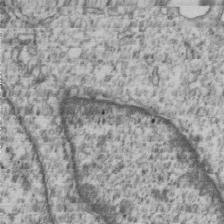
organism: Human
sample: MDA-MB-231 cells